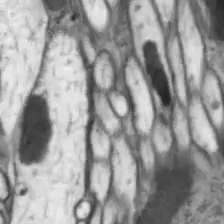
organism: Drosophila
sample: Optic lobe